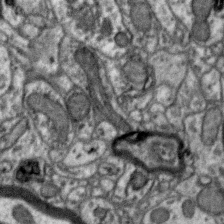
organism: Zebra finch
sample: Brain